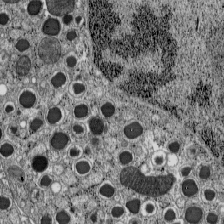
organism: C57BL Mouse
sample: Pancreatic islet